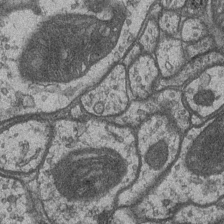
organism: Drosophila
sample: Optic medulla